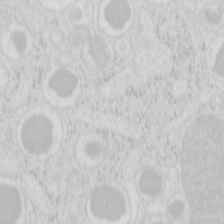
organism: Mouse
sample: Pancreas